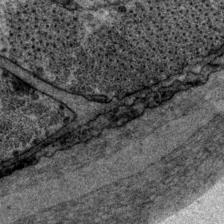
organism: P. pacificus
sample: Pharynx